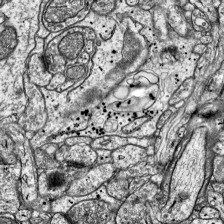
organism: Mouse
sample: Visual Cortex